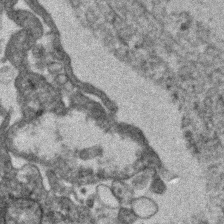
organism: Human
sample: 1205lu cells